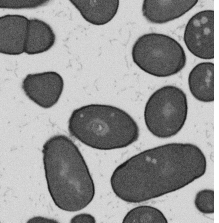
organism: B. subtilis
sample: Bacterial spore